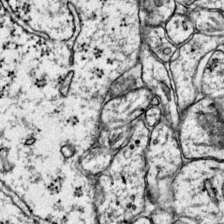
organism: Mouse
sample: Primary visual cortex